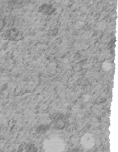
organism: C. elegans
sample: C. elegans embryo early stage